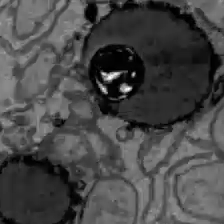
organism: C57BL Mouse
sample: Liver